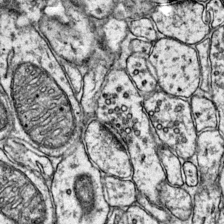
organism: Mouse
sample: Primary visual cortex